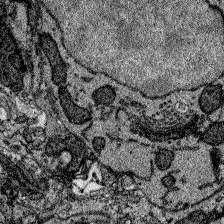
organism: Zebrafish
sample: Larval olfactory bulb